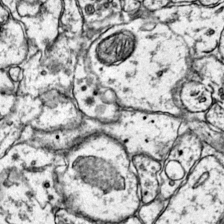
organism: Mouse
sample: Primary visual cortex